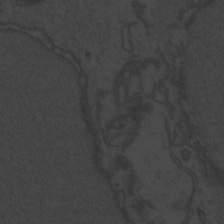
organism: Zebrafish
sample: Macrophage infected with Toxoplasma gondii